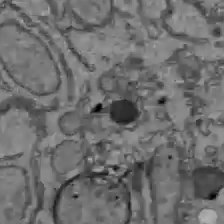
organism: C57BL Mouse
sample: Liver